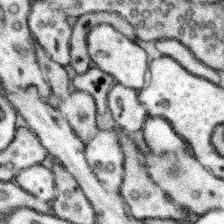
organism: Mouse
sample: Somatosensory cortex neuropil